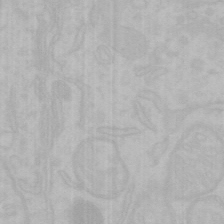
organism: Mouse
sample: Choroid plexus